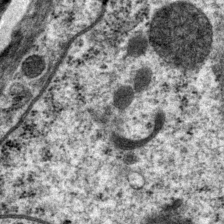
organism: P. pacificus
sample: Pharynx